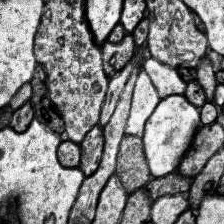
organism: Human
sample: Temporal Lobe